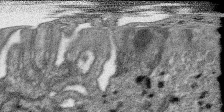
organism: Human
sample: Lung epithelial cells infected with SARS-CoV-2